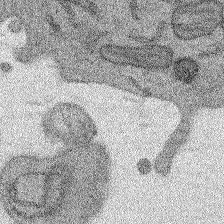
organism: Human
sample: HeLa cells